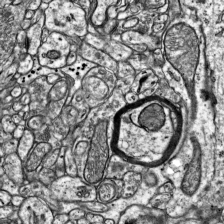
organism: Mouse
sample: Visual Cortex